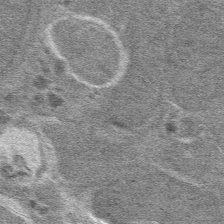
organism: Mouse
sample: Mouse hepatocytes